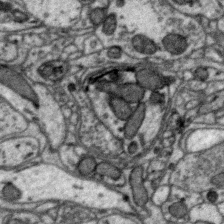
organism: Zebra finch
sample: Brain